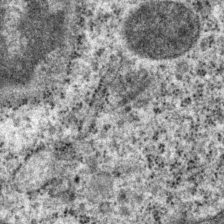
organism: P. pacificus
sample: Pharynx